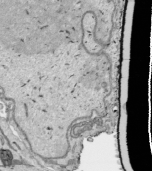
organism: Human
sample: Mitochondria in HCT116 cells